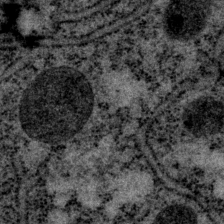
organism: P. pacificus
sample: Pharynx